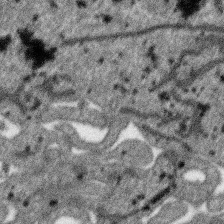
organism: Human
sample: Lung epithelial cells infected with SARS-CoV-2